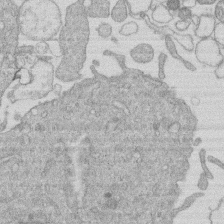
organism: Human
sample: Macrophage cells